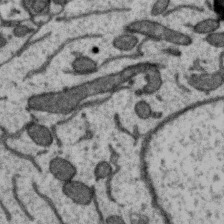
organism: Zebra finch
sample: Brain